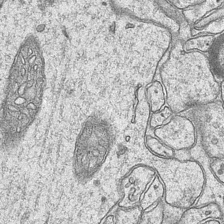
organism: Mouse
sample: CA1 Hippocampus